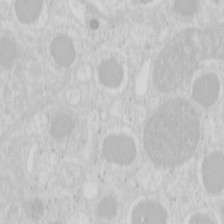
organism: Mouse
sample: Pancreas